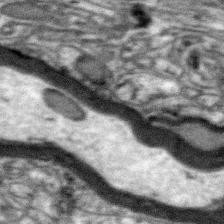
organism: Zebra finch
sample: Brain